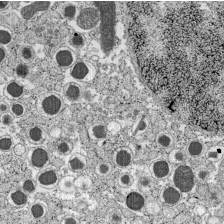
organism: C57BL Mouse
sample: Pancreatic islet